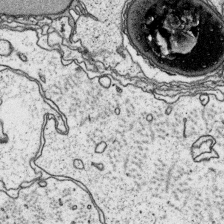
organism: Platynereis dumerilii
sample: Parapodia